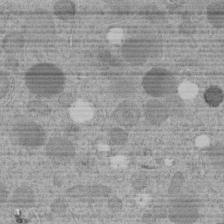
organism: C. elegans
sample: C. elegans embryo early stage